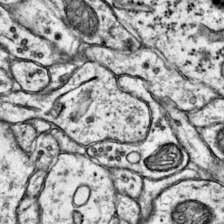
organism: Mouse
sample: Primary visual cortex